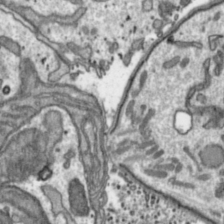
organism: Toxoplasma gondii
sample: Parasites in a vacuole inside a host cell